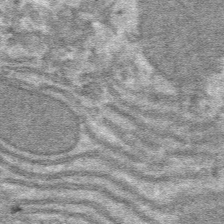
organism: Mouse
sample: Mouse hepatocytes